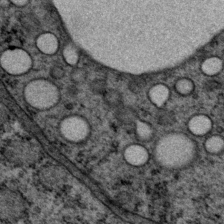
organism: P. pacificus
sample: Pharynx